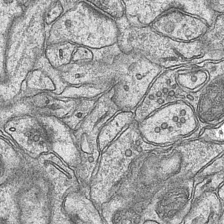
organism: Mouse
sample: CA1 Hippocampus